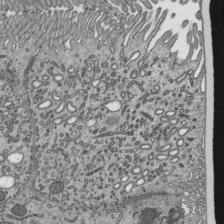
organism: Mouse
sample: Mouse epididymis efferent ductule cilia